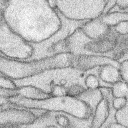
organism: Rabbit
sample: Retina